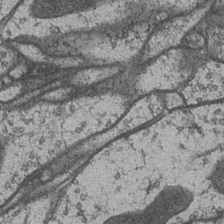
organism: Drosophila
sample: Optic medulla